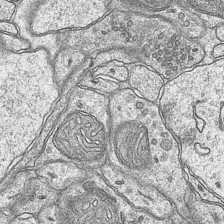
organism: Mouse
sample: CA1 Hippocampus